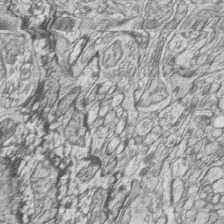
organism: Zebrafish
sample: synaptic ribbons in rod cells and cone cells